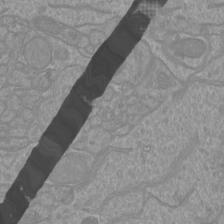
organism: Mouse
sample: Cortical neurons